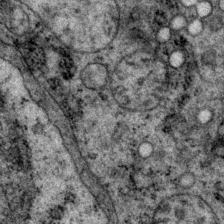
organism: P. pacificus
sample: Pharynx